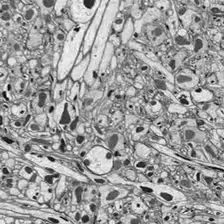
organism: Drosophila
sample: Optic lobe